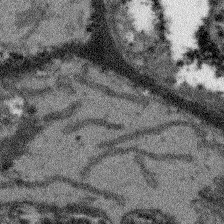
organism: Arabidopsis thaliana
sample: Root tip